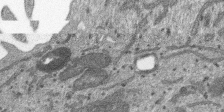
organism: Human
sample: Lung epithelial cells infected with SARS-CoV-2